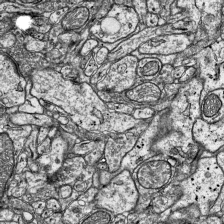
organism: Mouse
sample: Visual Cortex